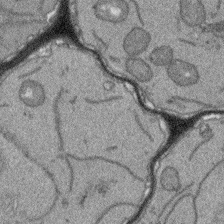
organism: Arabidopsis thaliana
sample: Root tip